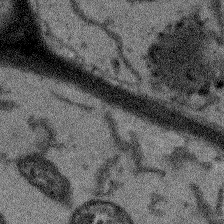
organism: Arabidopsis thaliana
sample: Root tip